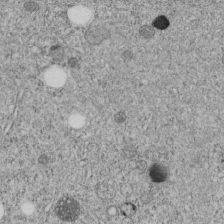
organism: C. elegans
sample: C. elegans embryo early stage